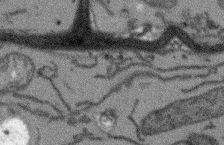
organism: Arabidopsis thaliana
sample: Root tip